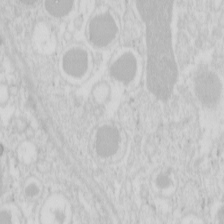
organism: Mouse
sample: Pancreas